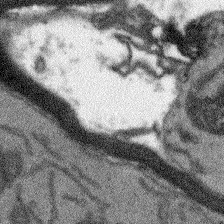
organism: Arabidopsis thaliana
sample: Root tip